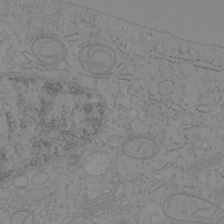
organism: Human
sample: HeLa cells